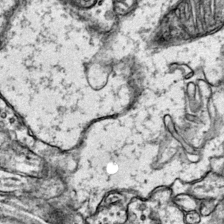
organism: Mouse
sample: Primary visual cortex